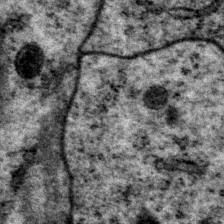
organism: P. pacificus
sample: Pharynx